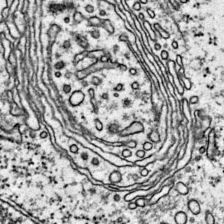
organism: Mouse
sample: Primary visual cortex